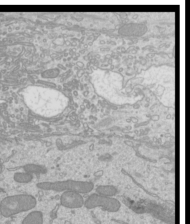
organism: Mouse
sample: Cilia; mouse epididymis